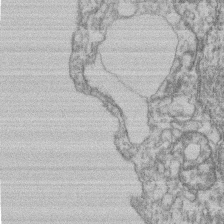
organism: Mouse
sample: T cell stromal cell synapse